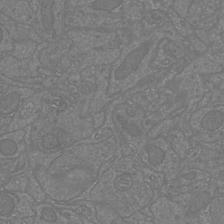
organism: Mouse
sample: Cortical neurons